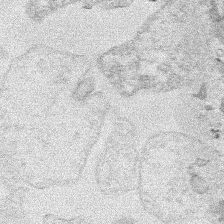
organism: Human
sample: Mitochondria in HCT116 cells